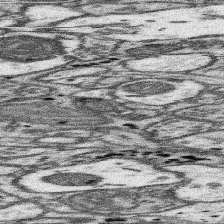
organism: Mouse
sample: Somatosensory cortex neuropil